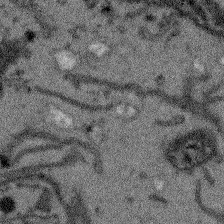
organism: Arabidopsis thaliana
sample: Root tip